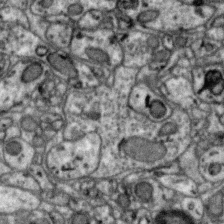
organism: Zebra finch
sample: Brain